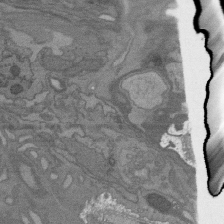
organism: C. elegans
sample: AFD neurons C. elegans